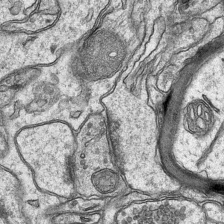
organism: Mouse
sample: CA1 Hippocampus